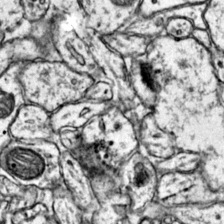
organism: Mouse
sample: Primary visual cortex